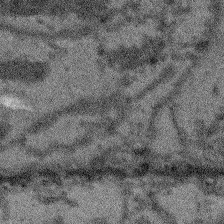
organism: Arabidopsis thaliana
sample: Root tip